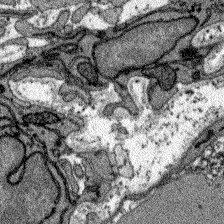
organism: Zebrafish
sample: Larval olfactory bulb